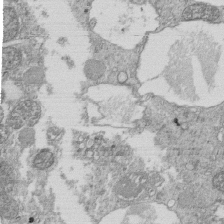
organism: Tetrahymena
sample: Cilia in tetrahymena